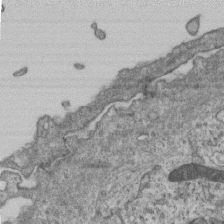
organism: Mouse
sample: Centriole in ependymal cells